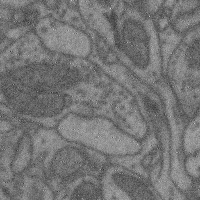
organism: Mouse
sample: Cerebral cortex